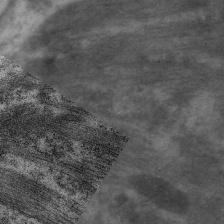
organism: C. elegans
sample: Pharynx